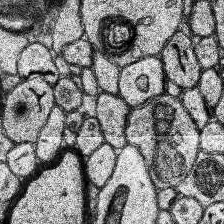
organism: Human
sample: Temporal Lobe